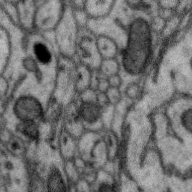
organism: Zebra finch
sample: Brain